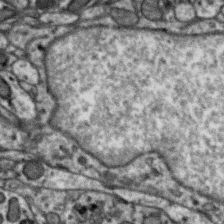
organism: Zebra finch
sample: Brain